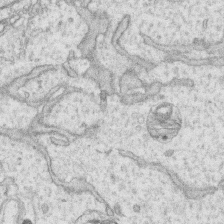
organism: Human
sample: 1205lu cells